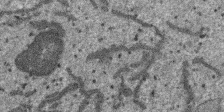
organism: Human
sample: Lung epithelial cells infected with SARS-CoV-2